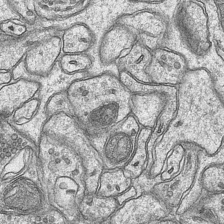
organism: Mouse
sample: CA1 Hippocampus